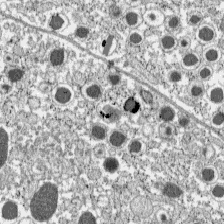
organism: C57BL Mouse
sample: Pancreatic islet